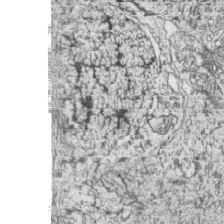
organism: Zebrafish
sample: synaptic ribbons in rod cells and cone cells